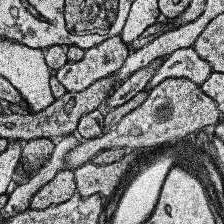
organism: Human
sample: Temporal Lobe